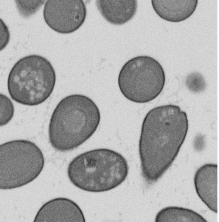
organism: B. subtilis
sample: Bacterial spore